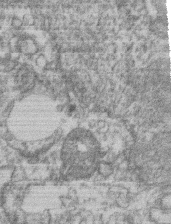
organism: Mouse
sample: T cell stromal cell synapse